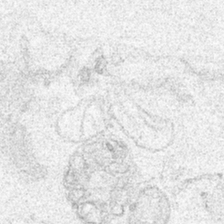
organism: Human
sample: Mitochondria in HCT116 cells